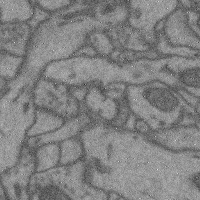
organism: Mouse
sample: Cerebral cortex